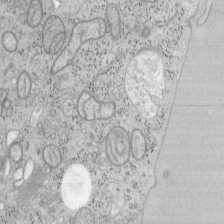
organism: Mouse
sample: OT-I killer T cells with ID8 ovarian cancer cells